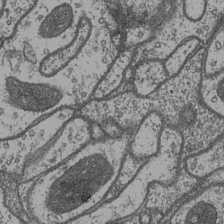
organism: Drosophila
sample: Optic medulla